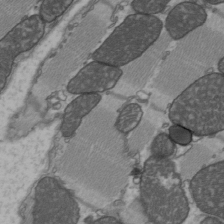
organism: C57BL Mouse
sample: Heart